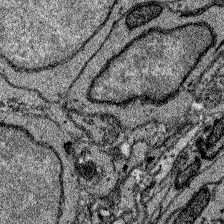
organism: Zebrafish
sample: Larval olfactory bulb